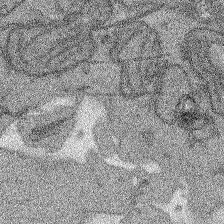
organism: Human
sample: HeLa cells